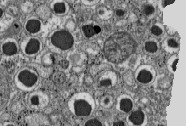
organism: C57BL Mouse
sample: Pancreatic islet